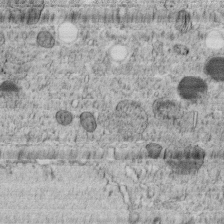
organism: C. elegans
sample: C. elegans embryo early stage